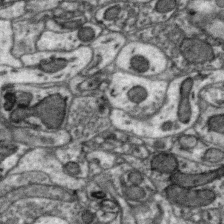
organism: Zebra finch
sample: Brain